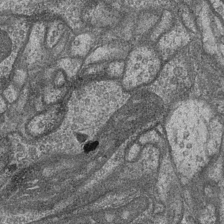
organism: Drosophila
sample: Optic medulla